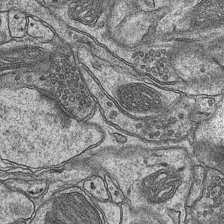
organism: Mouse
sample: CA1 Hippocampus